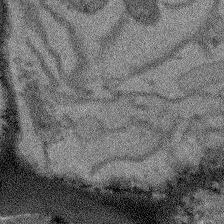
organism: Arabidopsis thaliana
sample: Root tip